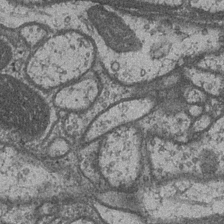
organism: Drosophila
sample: Optic medulla